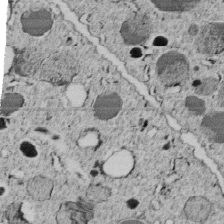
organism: C. elegans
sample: C. elegans embryo early stage